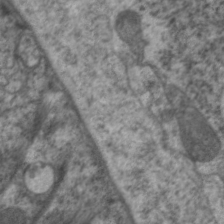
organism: C. elegans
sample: Pharynx